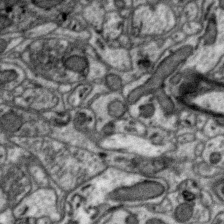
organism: Zebra finch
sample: Brain